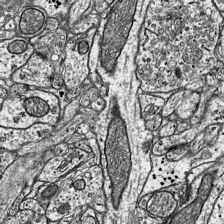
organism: Mouse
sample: Visual Cortex